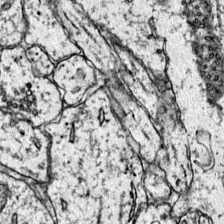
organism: Mouse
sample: Primary visual cortex